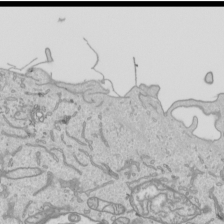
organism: Human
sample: Mitochondria in HCT116 cells